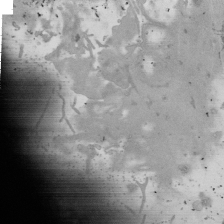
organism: Mouse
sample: ED-1 cell nuclei; centrioles